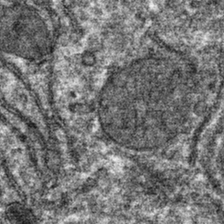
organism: Mouse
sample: Mouse hepatocytes